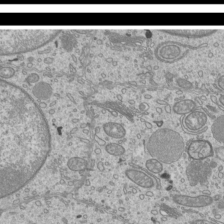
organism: Mouse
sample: Cilia; mouse epididymis